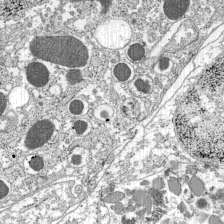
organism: C57BL Mouse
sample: Pancreatic islet